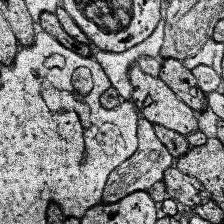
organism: Human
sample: Temporal Lobe